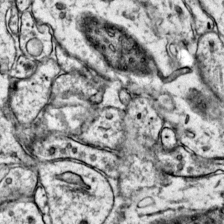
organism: Mouse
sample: Primary visual cortex